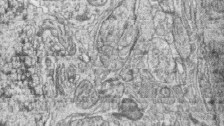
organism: Zebrafish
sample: synaptic ribbons in rod cells and cone cells